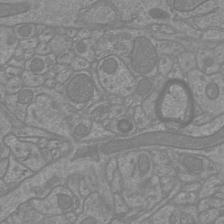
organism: Mouse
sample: Cortical neurons